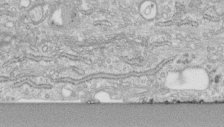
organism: Human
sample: Centriole in fibroblast cells